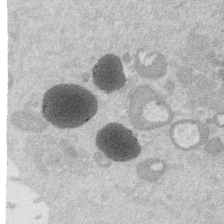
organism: Mouse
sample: Dividing mouse embryo 1 cell stage